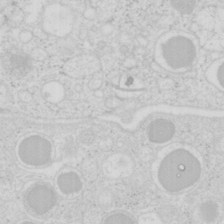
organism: Mouse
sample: Pancreas